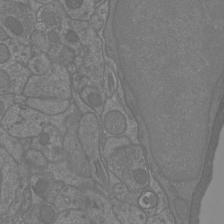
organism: Mouse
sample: Cortical neurons